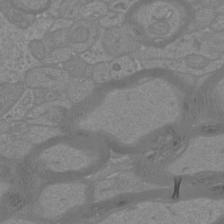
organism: Mouse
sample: Cortical neurons